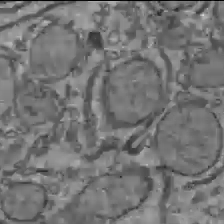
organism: C57BL Mouse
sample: Liver